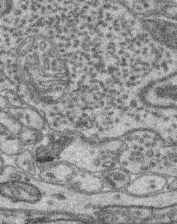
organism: Mouse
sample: Retina